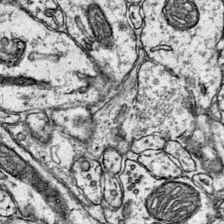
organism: Mouse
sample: Primary visual cortex